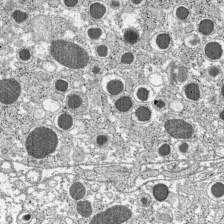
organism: C57BL Mouse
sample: Pancreatic islet